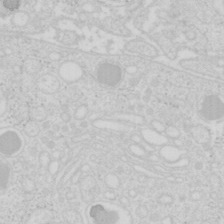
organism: Mouse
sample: Pancreas